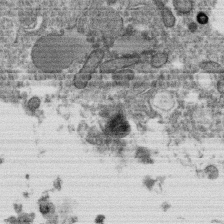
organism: C. elegans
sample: C. elegans oocyte; sperm cells